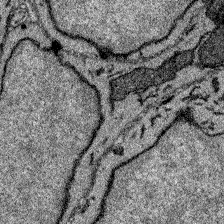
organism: Zebrafish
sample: Larval olfactory bulb